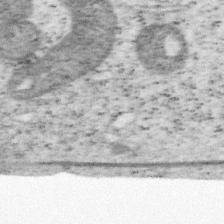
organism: Mouse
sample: OT-I killer T cells with ID8 ovarian cancer cells